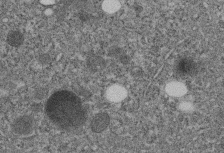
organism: C. elegans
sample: C. elegans embryo early stage